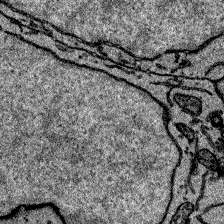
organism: Zebrafish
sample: Larval olfactory bulb